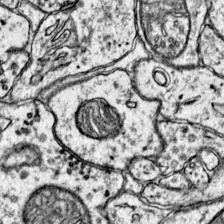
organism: Mouse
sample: Primary visual cortex